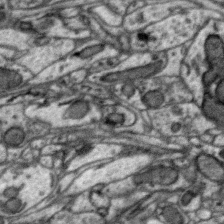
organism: Zebra finch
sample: Brain